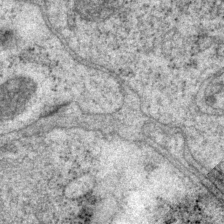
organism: P. pacificus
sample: Pharynx